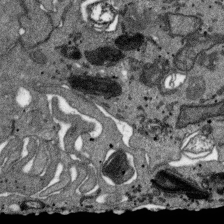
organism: Human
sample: Lung epithelial cells, uninfected (mock) control